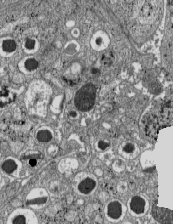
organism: C57BL Mouse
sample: Pancreatic islet